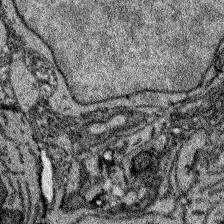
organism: Zebrafish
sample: Larval olfactory bulb